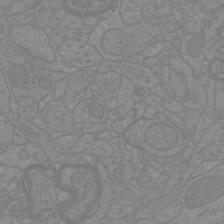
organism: Mouse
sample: Cortical neurons